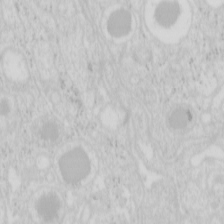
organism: Mouse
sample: Pancreas